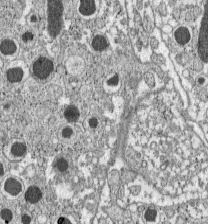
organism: C57BL Mouse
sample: Pancreatic islet